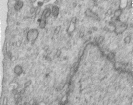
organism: Human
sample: Centriole in RPE cells